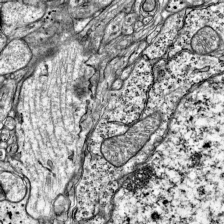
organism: Mouse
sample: Visual Cortex